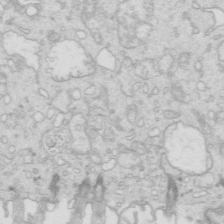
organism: Mouse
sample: Multiciliated cells